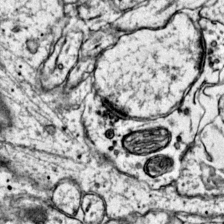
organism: Mouse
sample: Primary visual cortex